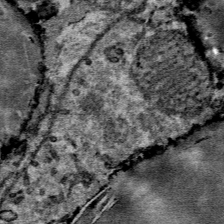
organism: Mouse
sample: Mouse Salivary gland